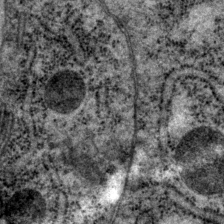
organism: P. pacificus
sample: Pharynx